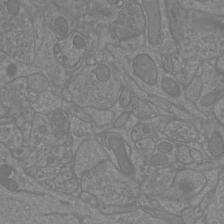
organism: Mouse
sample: Cortical neurons